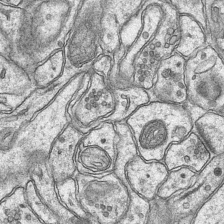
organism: Mouse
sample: CA1 Hippocampus